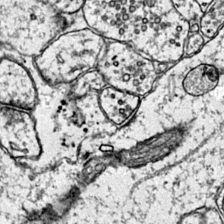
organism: Mouse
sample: Primary visual cortex